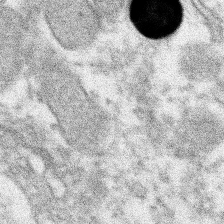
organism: Xenopus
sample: Cilia; centrioles in frog embryo cells